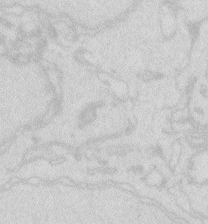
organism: Zebrafish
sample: Macrophage